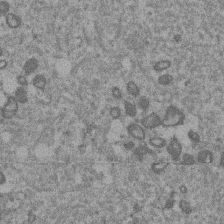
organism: Mouse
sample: Dividing mouse embryo 1 cell stage